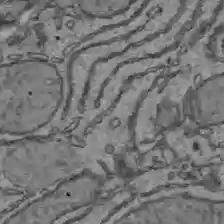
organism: C57BL Mouse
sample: Liver